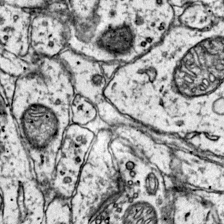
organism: Mouse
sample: Primary visual cortex